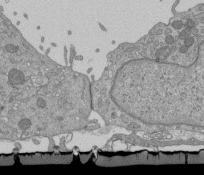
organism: Mouse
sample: ED-1 cell nuclei; centrioles